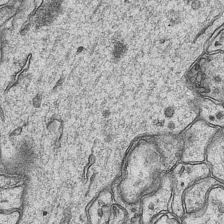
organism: Mouse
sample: CA1 Hippocampus